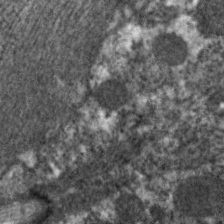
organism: C. elegans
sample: Pharynx